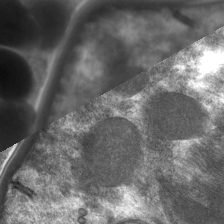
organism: C. elegans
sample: Pharynx